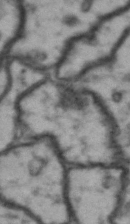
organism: Drosophila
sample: Brain